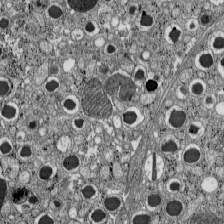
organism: C57BL Mouse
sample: Pancreatic islet